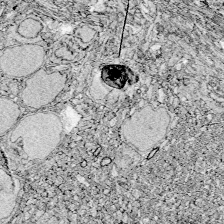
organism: Zebrafish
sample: Whole-Brain